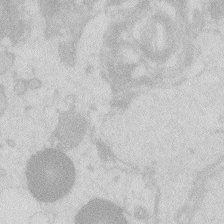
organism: Zebrafish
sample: Macrophage